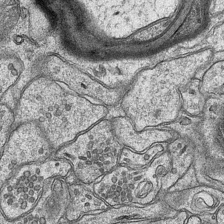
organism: Mouse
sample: CA1 Hippocampus